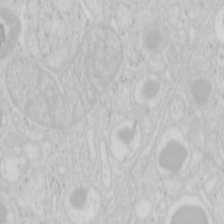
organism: Mouse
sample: Pancreas